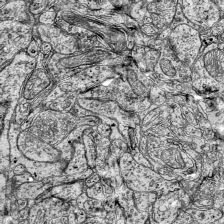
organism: Mouse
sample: Visual Cortex